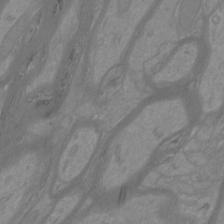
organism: Mouse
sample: Cortical neurons